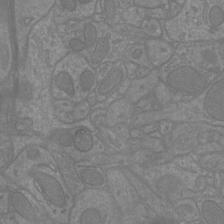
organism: Mouse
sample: Cortical neurons